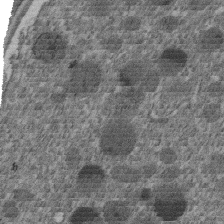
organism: C. elegans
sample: C. elegans embryo early stage